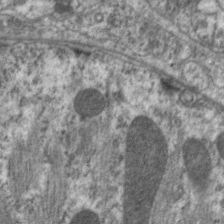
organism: C. elegans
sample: Pharynx